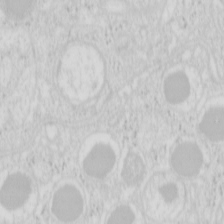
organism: Mouse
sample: Pancreas